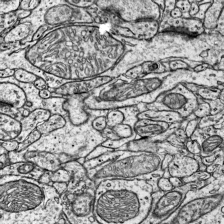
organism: Mouse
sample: Visual Cortex